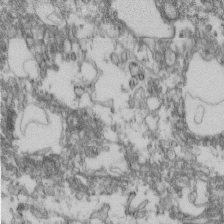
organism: Mouse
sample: Cilia; retinal pigment epithelium